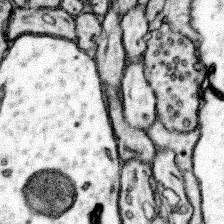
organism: Mouse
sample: Somatosensory cortex neuropil